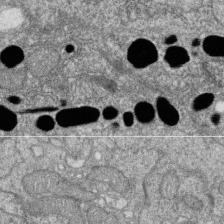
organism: Zebrafish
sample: Cilia; retinal pigment epithelium